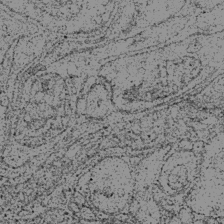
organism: Drosophila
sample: Optic medulla